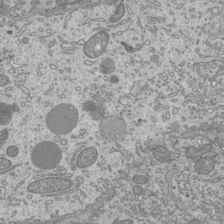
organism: Mouse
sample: Cilia; mouse epididymis